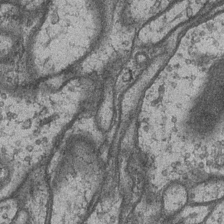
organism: Drosophila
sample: Optic medulla